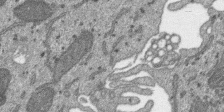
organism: Human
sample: Lung epithelial cells infected with SARS-CoV-2